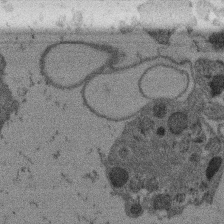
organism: Mouse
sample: Dividing mouse embryo 1 cell stage